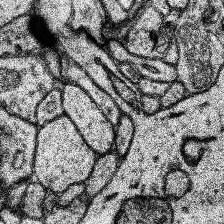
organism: Human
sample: Temporal Lobe